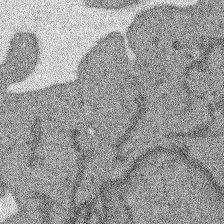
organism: Human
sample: HeLa cells